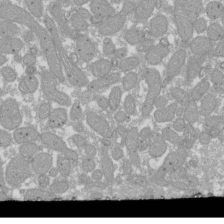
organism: Xenopus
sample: Cilia; centrioles in frog embryo cells